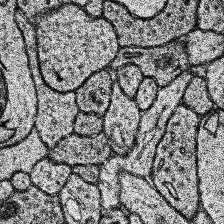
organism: Human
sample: Temporal Lobe